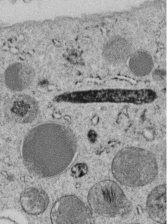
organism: C. elegans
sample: C. elegans embryo early stage